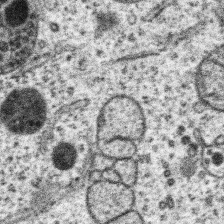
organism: Human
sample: HeLa cells